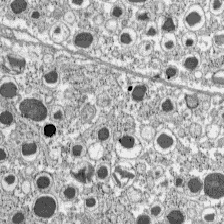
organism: C57BL Mouse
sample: Pancreatic islet